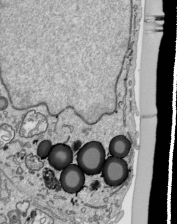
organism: Human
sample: Mitochondria in HCT116 cells